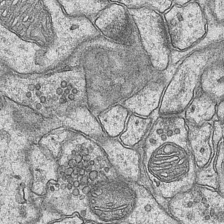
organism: Mouse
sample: CA1 Hippocampus